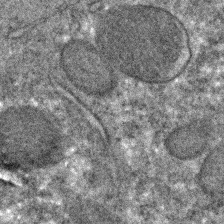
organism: C. elegans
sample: C. elegans embryo